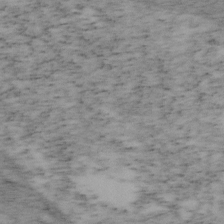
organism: Mouse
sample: OT-I killer T cells with ID8 ovarian cancer cells